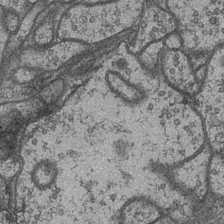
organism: Drosophila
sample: Optic medulla